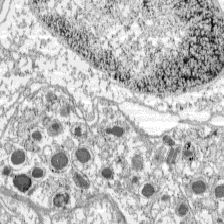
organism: C57BL Mouse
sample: Pancreatic islet